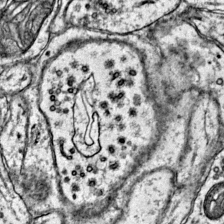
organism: Mouse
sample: Primary visual cortex